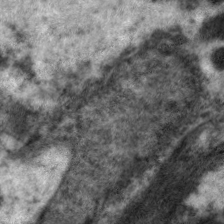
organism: C. elegans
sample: Pharynx